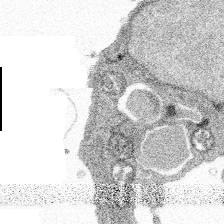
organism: Spongilla lacustris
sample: Multiple